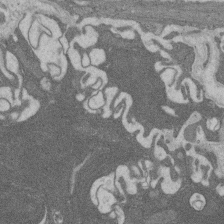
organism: Rat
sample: Salivary granule